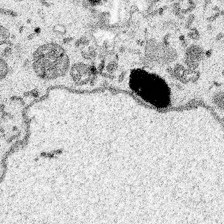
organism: Spongilla lacustris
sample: Multiple